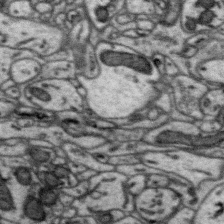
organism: Zebra finch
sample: Brain